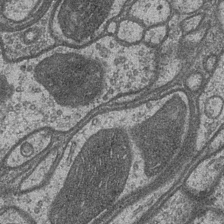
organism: Drosophila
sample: Optic medulla